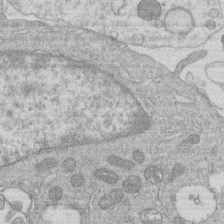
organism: Human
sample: Macrophage cells